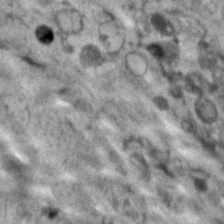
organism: Human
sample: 1205lu cells